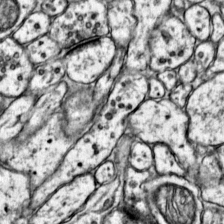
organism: Mouse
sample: Primary visual cortex